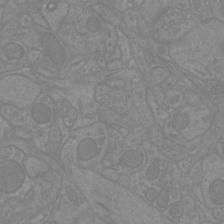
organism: Mouse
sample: Cortical neurons